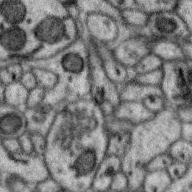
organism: Zebra finch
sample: Brain